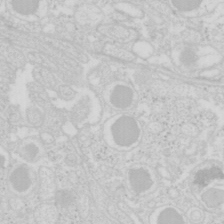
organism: Mouse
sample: Pancreas